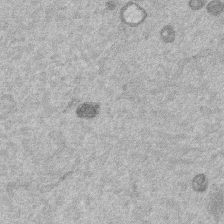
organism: Mouse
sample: Dividing mouse embryo 1 cell stage